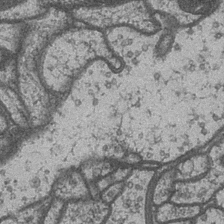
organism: Drosophila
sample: Optic medulla